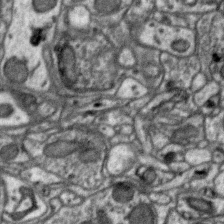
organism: Zebra finch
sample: Brain